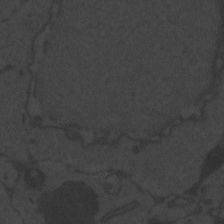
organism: Zebrafish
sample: Macrophage infected with Toxoplasma gondii